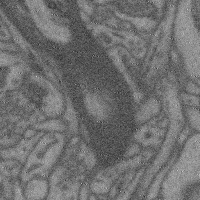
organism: Mouse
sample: Cerebral cortex